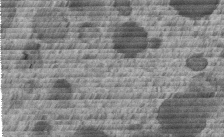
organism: C. elegans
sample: C. elegans embryo early stage